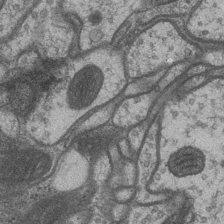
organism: Drosophila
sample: Optic medulla